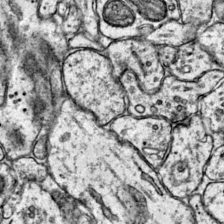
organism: Mouse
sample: Primary visual cortex